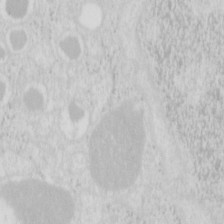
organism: Mouse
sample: Pancreas